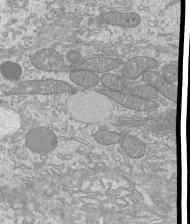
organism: Mouse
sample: Cilia; mouse epididymis